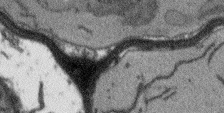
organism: Arabidopsis thaliana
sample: Root tip